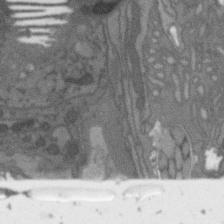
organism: C. elegans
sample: AFD neurons C. elegans